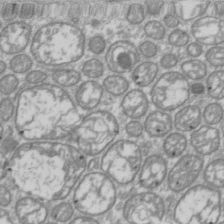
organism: Drosophila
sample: Cell division; meiosis; drosophila spermatocytes